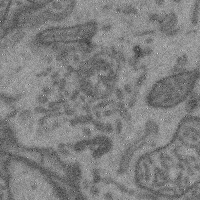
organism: Mouse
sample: Cerebral cortex